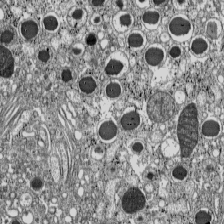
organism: C57BL Mouse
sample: Pancreatic islet